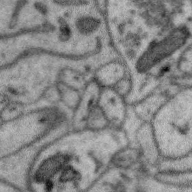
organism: Zebra finch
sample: Brain